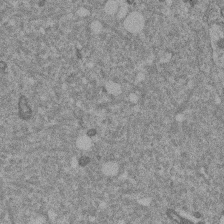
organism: Mouse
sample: Dividing mouse embryo 1 cell stage